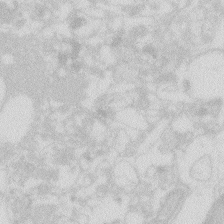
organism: Zebrafish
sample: Macrophage